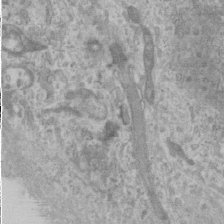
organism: Human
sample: Cilia; basal body in RPE cells